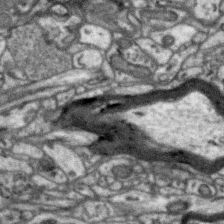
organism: Zebra finch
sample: Brain